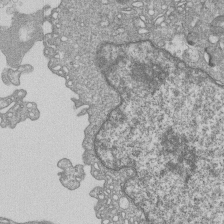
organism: Human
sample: MDA-MB-231 cells